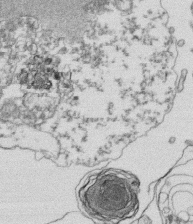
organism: Human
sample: HeLa cell HIV synapse